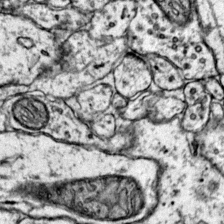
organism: Mouse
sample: Primary visual cortex